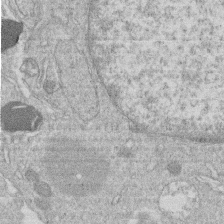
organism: Human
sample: Macrophage cells